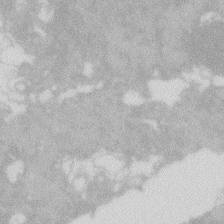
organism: Zebrafish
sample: Macrophage